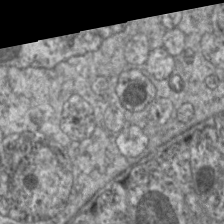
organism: C. elegans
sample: Pharynx